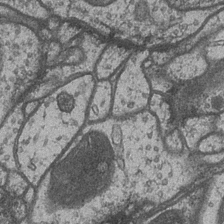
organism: Drosophila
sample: Optic medulla